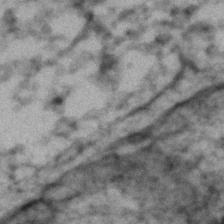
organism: Zebrafish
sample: Zebrafish embryo